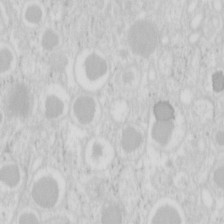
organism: Mouse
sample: Pancreas